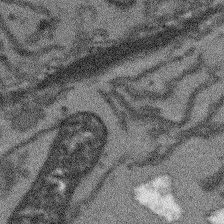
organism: Arabidopsis thaliana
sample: Root tip